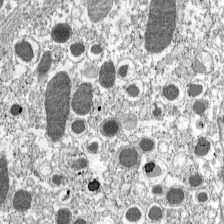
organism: C57BL Mouse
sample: Pancreatic islet